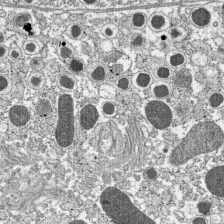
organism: C57BL Mouse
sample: Pancreatic islet